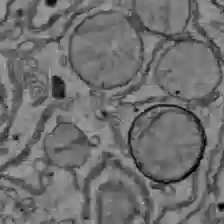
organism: C57BL Mouse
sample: Liver